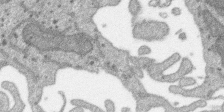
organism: Human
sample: Lung epithelial cells infected with SARS-CoV-2